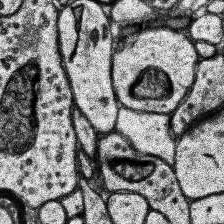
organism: Human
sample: Temporal Lobe